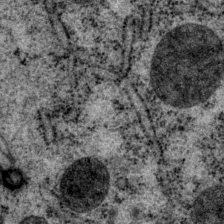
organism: P. pacificus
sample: Pharynx